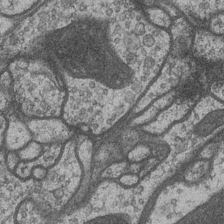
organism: Drosophila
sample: Optic medulla